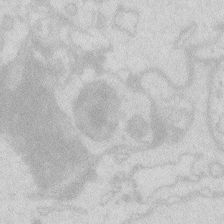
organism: Zebrafish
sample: Macrophage